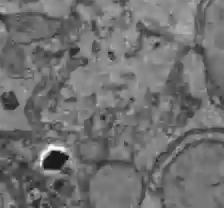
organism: C57BL Mouse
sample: Liver